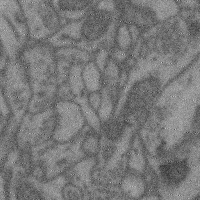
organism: Mouse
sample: Cerebral cortex